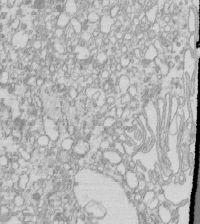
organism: Mouse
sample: Macrophages